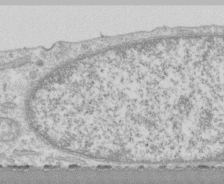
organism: Human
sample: CRL-1474